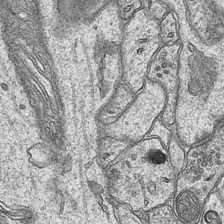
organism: Mouse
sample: CA1 Hippocampus